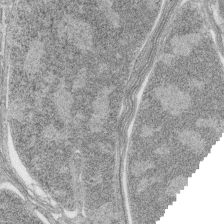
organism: Zebrafish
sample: synaptic ribbons in rod cells and cone cells